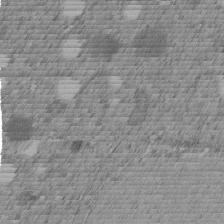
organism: C. elegans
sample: C. elegans embryo early stage